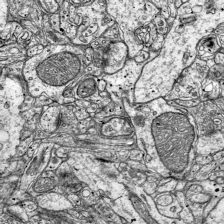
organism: Mouse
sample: Visual Cortex